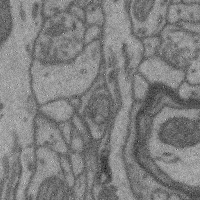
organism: Mouse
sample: Cerebral cortex